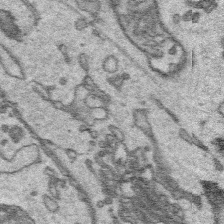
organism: Platynereis dumerilii